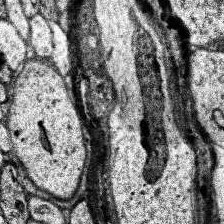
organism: Human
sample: Temporal Lobe